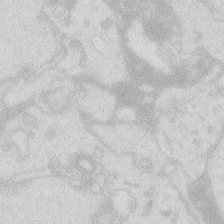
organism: Zebrafish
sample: Macrophage